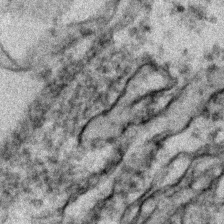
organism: Zebrafish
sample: Zebrafish embryo